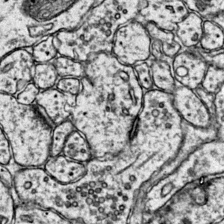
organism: Mouse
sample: Primary visual cortex